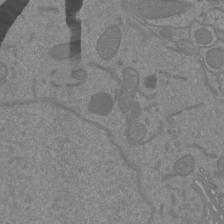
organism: Mouse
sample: Cortical neurons